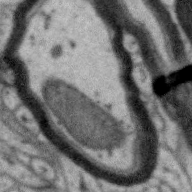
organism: Zebra finch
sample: Brain